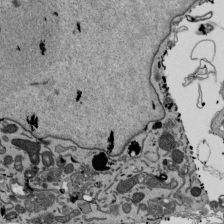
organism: Mouse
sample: ED-1 cell nuclei; centrioles